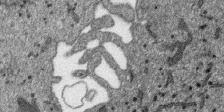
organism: Human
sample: Lung epithelial cells infected with SARS-CoV-2